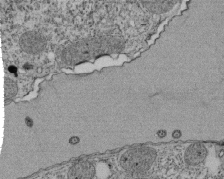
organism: Tetrahymena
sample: Cilia in tetrahymena